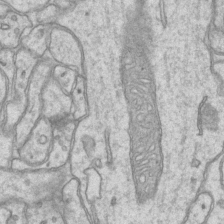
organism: Mouse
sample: CA1 Hippocampus